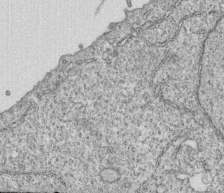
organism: Human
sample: HeLa cell HIV synapse